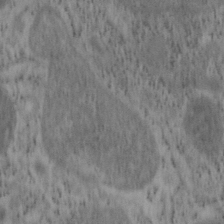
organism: Mouse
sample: OT-I killer T cells with ID8 ovarian cancer cells